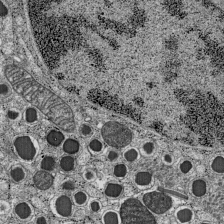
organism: C57BL Mouse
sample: Pancreatic islet